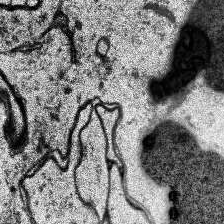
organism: Human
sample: Temporal Lobe